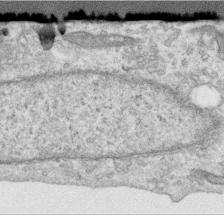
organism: Human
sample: Centriole in RPE cells